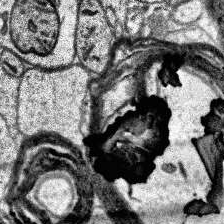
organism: Human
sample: Temporal Lobe